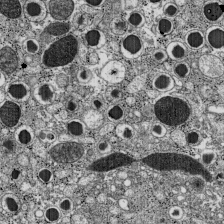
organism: C57BL Mouse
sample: Pancreatic islet